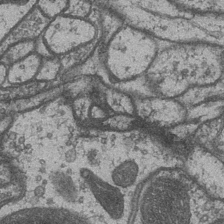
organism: Drosophila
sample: Optic medulla